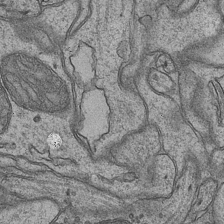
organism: Mouse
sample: CA1 Hippocampus